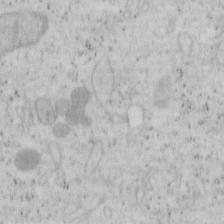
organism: Human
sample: HeLa cells